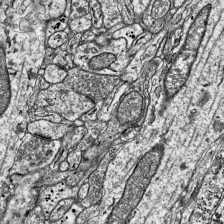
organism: Mouse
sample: Visual Cortex